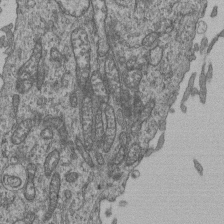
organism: Human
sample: Retinal organoid Rod and Cone cells